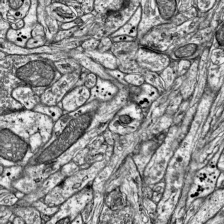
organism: Mouse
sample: Visual Cortex